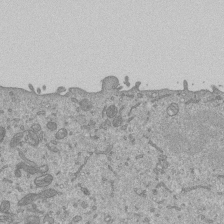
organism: Mouse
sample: ED-1 cell nuclei; centrioles